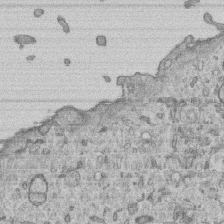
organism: Human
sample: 1205lu cells